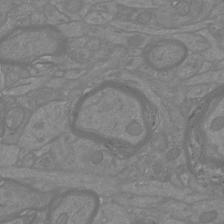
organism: Mouse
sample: Cortical neurons